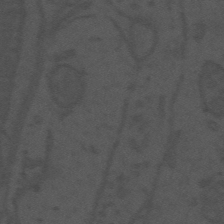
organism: Mouse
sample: Suprachiasmatic nucleus